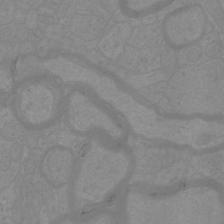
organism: Mouse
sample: Cortical neurons